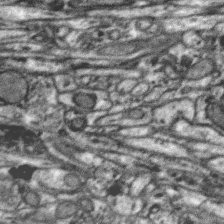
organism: Zebra finch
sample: Brain